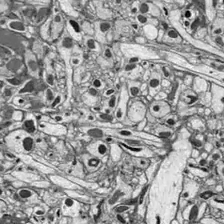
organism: Drosophila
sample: Optic lobe